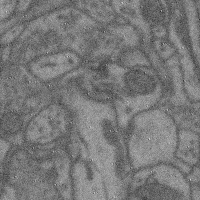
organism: Mouse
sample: Cerebral cortex